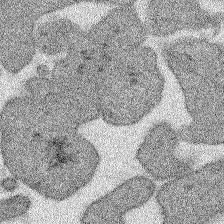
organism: Human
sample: HeLa cells